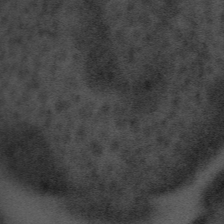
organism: Tuwongella immobilis